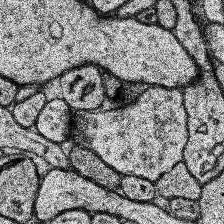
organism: Human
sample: Temporal Lobe